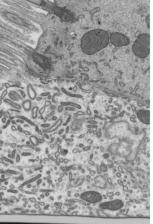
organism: Mouse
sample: Mouse epididymis efferent ductule cilia